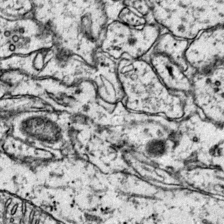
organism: Mouse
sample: Primary visual cortex